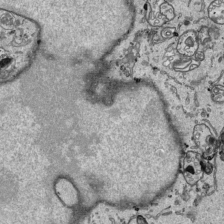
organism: Human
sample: Mitochondria in HCT116 cells